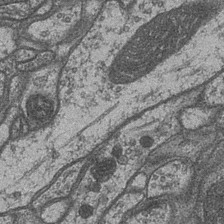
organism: Drosophila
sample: Optic medulla